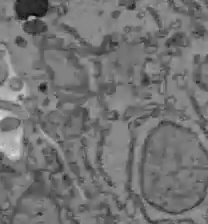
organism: C57BL Mouse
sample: Liver